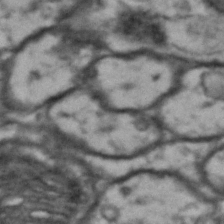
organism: Drosophila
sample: Brain